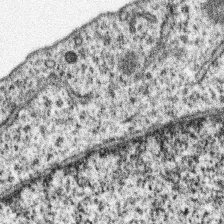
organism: Human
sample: HeLa cells